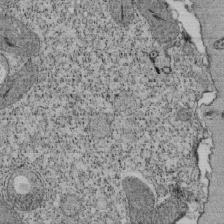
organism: Tetrahymena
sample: Cilia in tetrahymena